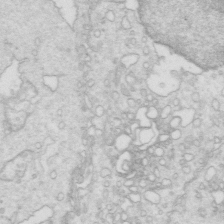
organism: Mouse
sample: Multiciliated cells